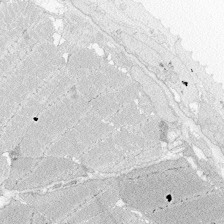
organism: Zebrafish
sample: Whole-Brain